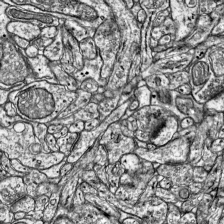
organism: Mouse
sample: Visual Cortex